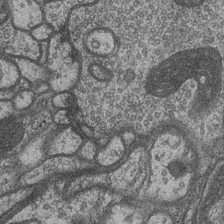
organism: Drosophila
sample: Optic medulla